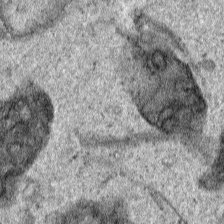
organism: Human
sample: Mitochondria in HCT116 cells